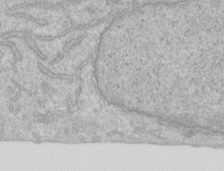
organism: Human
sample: Centriole in RPE cells